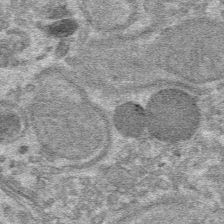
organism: Mouse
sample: Mouse hepatocytes